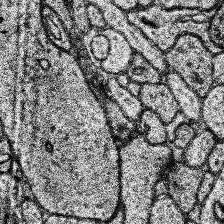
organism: Human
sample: Temporal Lobe